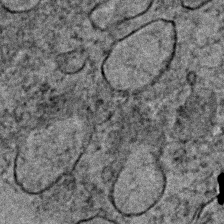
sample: Trachea